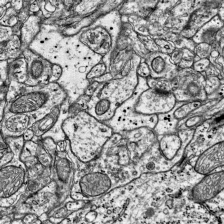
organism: Mouse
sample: Visual Cortex